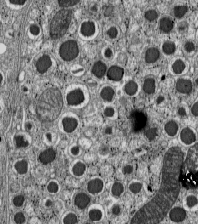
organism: C57BL Mouse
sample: Pancreatic islet